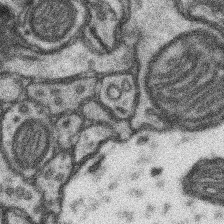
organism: Mouse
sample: Somatosensory cortex neuropil